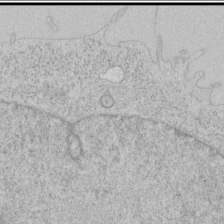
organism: Human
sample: Mitochondria in HCT116 cells